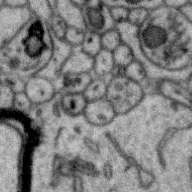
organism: Zebra finch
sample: Brain